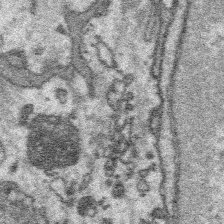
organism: Platynereis dumerilii